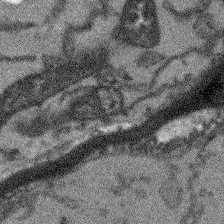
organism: Arabidopsis thaliana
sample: Root tip